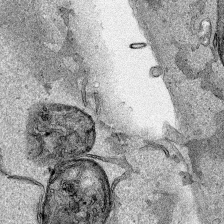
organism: Human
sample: Mitochondria in HCT116 cells